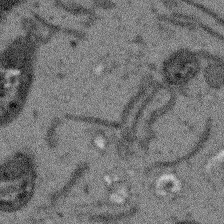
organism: Arabidopsis thaliana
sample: Root tip